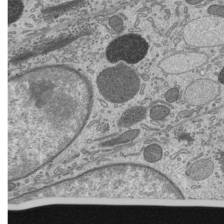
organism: Mouse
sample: Mouse epididymis efferent ductule cilia